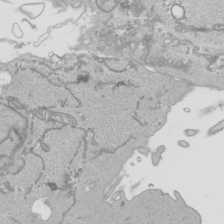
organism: Human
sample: Mitochondria in HCT116 cells